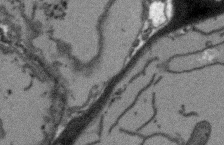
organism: Arabidopsis thaliana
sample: Root tip